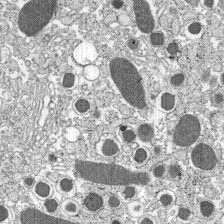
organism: C57BL Mouse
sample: Pancreatic islet